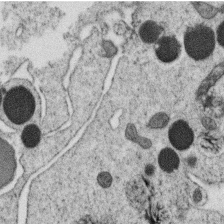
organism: C. elegans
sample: C. elegans oocyte; sperm cells